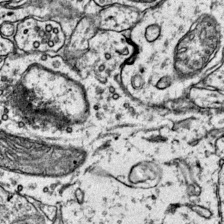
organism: Mouse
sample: Primary visual cortex